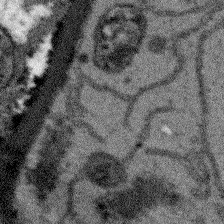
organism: Arabidopsis thaliana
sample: Root tip